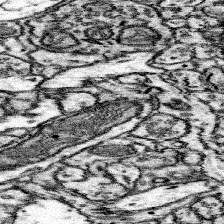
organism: Mouse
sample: Somatosensory cortex neuropil